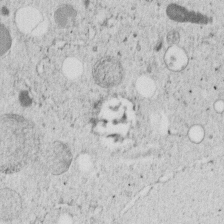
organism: C. elegans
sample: C. elegans embryo early stage